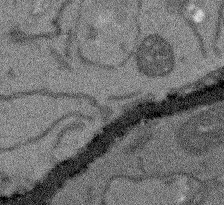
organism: Arabidopsis thaliana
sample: Root tip